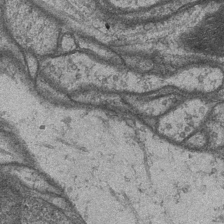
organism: Drosophila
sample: Optic medulla